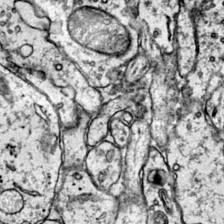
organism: Mouse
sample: Primary visual cortex